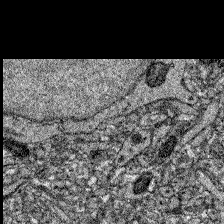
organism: Zebrafish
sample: Larval olfactory bulb